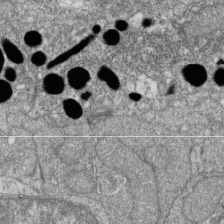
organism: Zebrafish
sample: Cilia; retinal pigment epithelium